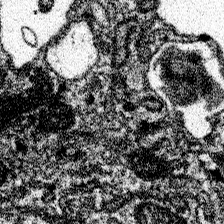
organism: Spongilla lacustris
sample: Neuroid cell